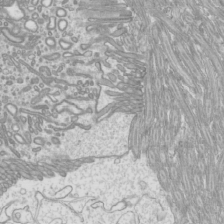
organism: Mouse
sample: Cilia; mouse epididymis